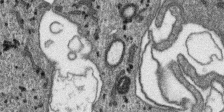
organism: Human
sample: Lung epithelial cells infected with SARS-CoV-2